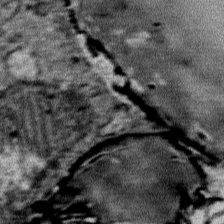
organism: Mouse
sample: Mouse Salivary gland